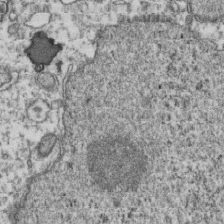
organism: Human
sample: Activated Jurkat CD4+ T cells